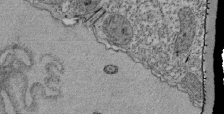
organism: Tetrahymena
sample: Cilia in tetrahymena